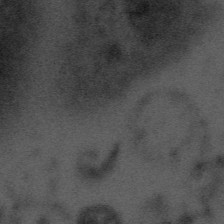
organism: Tuwongella immobilis